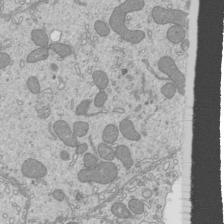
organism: Mouse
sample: Cilia; mouse epididymis